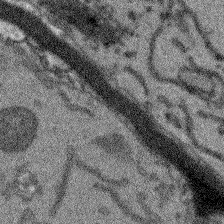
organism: Arabidopsis thaliana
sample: Root tip